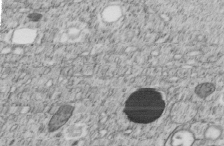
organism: C. elegans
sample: C. elegans embryo early stage